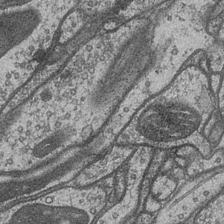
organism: Drosophila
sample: Optic medulla